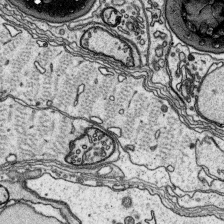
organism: Platynereis dumerilii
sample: Parapodia